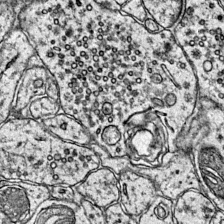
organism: Mouse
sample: Primary visual cortex